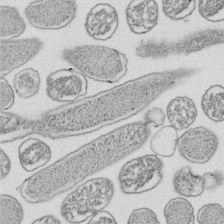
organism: E. coli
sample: Bacterial nucleoid